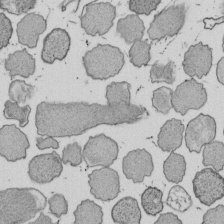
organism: E. coli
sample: Bacterial nucleoid